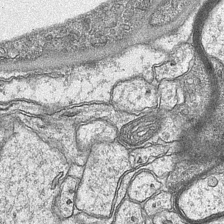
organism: Mouse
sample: CA1 Hippocampus